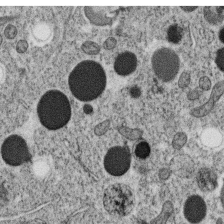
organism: C. elegans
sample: C. elegans oocyte; sperm cells